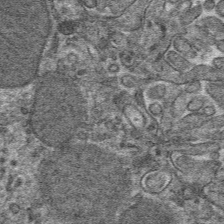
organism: Mouse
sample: Mouse hepatocytes